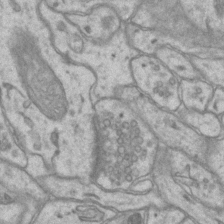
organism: Mouse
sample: CA1 Hippocampus